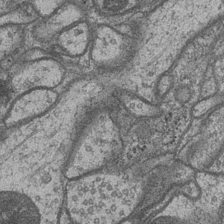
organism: Drosophila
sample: Optic medulla